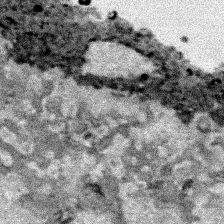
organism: Human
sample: Mitochondria in HCT116 cells